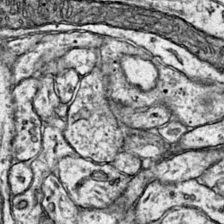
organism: Mouse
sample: Primary visual cortex